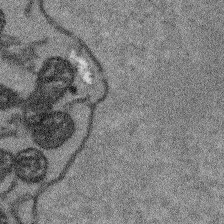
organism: Arabidopsis thaliana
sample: Root tip